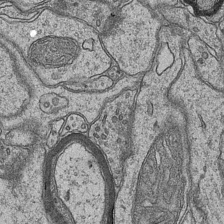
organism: Mouse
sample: CA1 Hippocampus